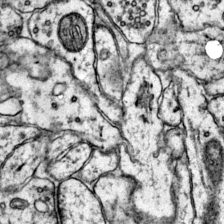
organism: Mouse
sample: Primary visual cortex